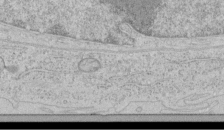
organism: Human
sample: Mitochondria in HCT116 cells